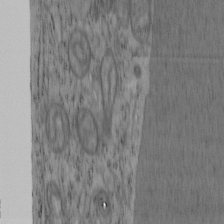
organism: Human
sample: HeLa cells